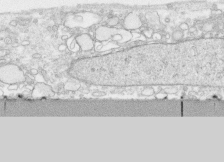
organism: Human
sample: CRL-1474